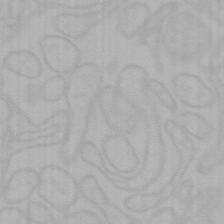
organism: Mouse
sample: Choroid plexus